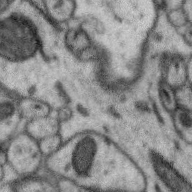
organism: Zebra finch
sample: Brain